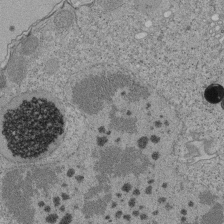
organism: Tetrahymena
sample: Cilia in tetrahymena